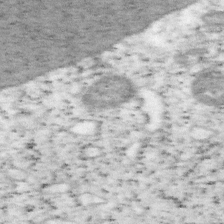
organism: Mouse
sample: OT-I killer T cells with ID8 ovarian cancer cells